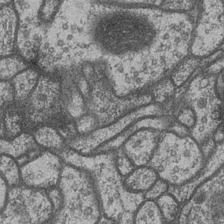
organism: Drosophila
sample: Optic medulla